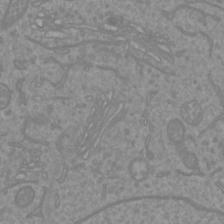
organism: Mouse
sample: Cortical neurons